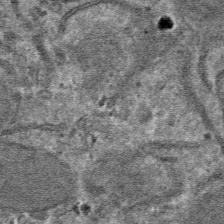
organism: Mouse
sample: Mouse hepatocytes